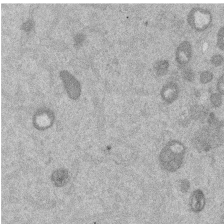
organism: Mouse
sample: Dividing mouse embryo 1 cell stage